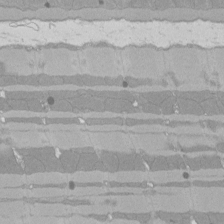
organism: Rat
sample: Left ventricle